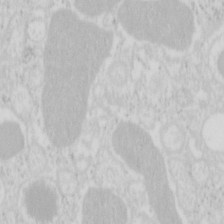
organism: Mouse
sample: Pancreas